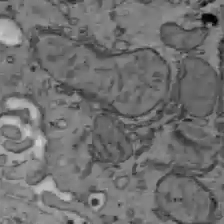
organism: C57BL Mouse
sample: Liver